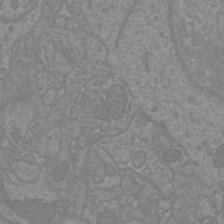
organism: Mouse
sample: Cortical neurons